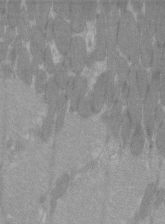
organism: C57BL Mouse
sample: Tibialis anterior muscle cell